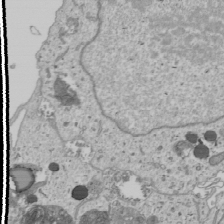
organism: Human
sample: Mitochondria in U2OS cells